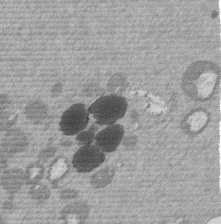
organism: Mouse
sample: Dividing mouse embryo 1 cell stage